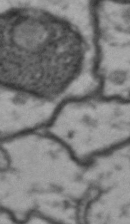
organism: Drosophila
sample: Brain